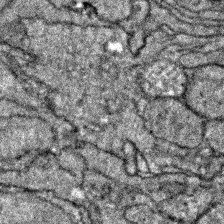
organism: Zebrafish